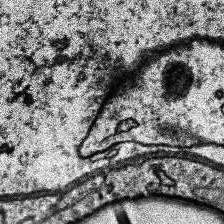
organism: Human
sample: Temporal Lobe